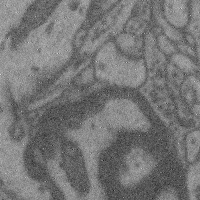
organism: Mouse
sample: Cerebral cortex